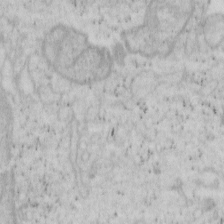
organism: Human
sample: HeLa cells